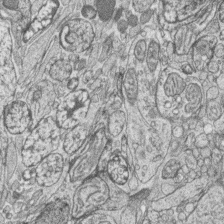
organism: Zebrafish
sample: synaptic ribbons in rod cells and cone cells